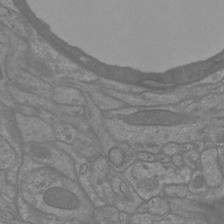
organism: Mouse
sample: Cortical neurons